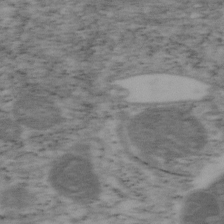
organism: Mouse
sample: OT-I killer T cells with ID8 ovarian cancer cells